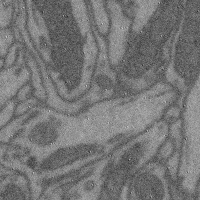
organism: Mouse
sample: Cerebral cortex